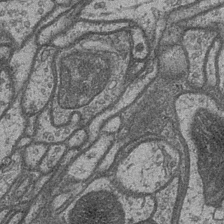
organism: Drosophila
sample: Optic medulla